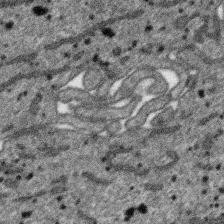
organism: Human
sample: Lung epithelial cells infected with SARS-CoV-2